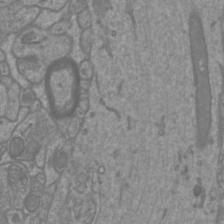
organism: Mouse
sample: Cortical neurons